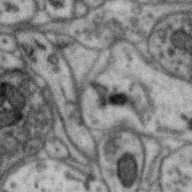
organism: Zebra finch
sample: Brain